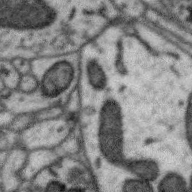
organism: Zebra finch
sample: Brain